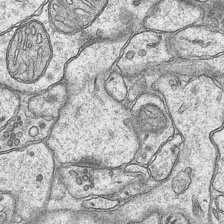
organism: Mouse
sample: CA1 Hippocampus